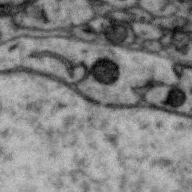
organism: Zebra finch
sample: Brain